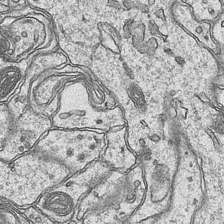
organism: Mouse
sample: CA1 Hippocampus